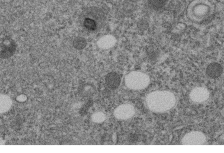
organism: C. elegans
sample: C. elegans embryo early stage